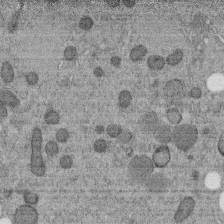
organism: C. elegans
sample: C. elegans embryo early stage